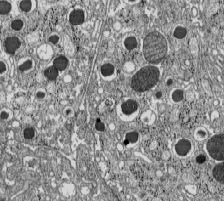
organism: C57BL Mouse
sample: Pancreatic islet